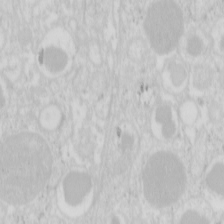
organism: Mouse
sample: Pancreas